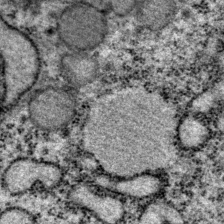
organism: P. pacificus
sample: Pharynx